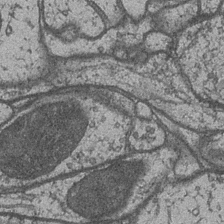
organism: Drosophila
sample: Optic medulla